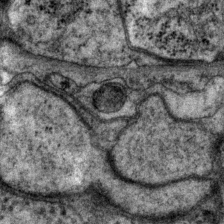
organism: P. pacificus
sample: Pharynx